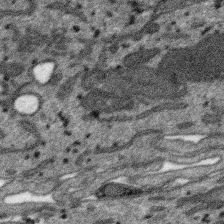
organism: Human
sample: Lung epithelial cells infected with SARS-CoV-2